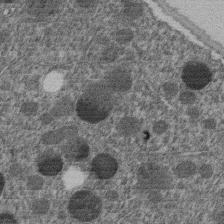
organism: C. elegans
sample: C. elegans embryo early stage